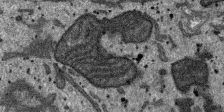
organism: Human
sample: Lung epithelial cells, uninfected (mock) control